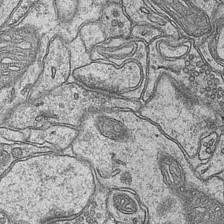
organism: Mouse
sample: CA1 Hippocampus